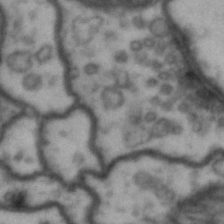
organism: Drosophila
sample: Brain